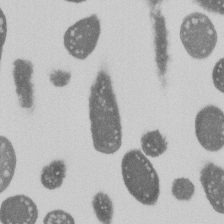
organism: E. coli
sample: Bacterial nucleoid